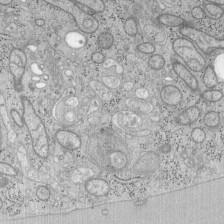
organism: Mouse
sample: OT-I killer T cells with ID8 ovarian cancer cells